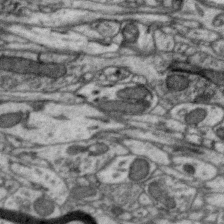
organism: Zebra finch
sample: Brain